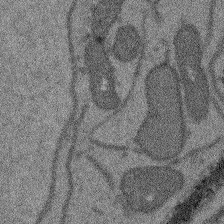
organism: Arabidopsis thaliana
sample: Root tip